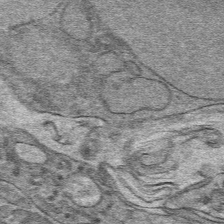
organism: Mouse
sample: Mouse hepatocytes